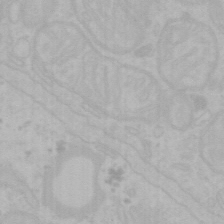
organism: Mouse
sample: Choroid plexus